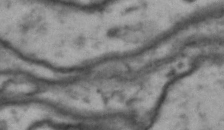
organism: Drosophila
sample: Brain